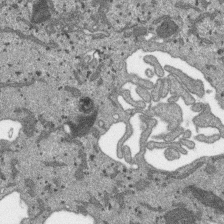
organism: Human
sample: Lung epithelial cells infected with SARS-CoV-2